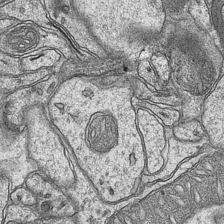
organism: Mouse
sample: CA1 Hippocampus